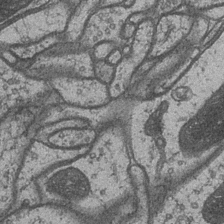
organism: Drosophila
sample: Optic medulla